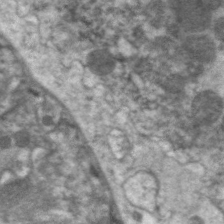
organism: C. elegans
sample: Pharynx